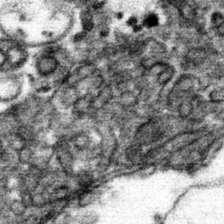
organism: Mouse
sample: Mouse hepatocytes